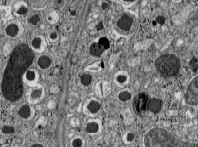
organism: C57BL Mouse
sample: Pancreatic islet